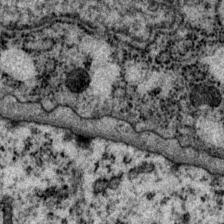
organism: P. pacificus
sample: Pharynx